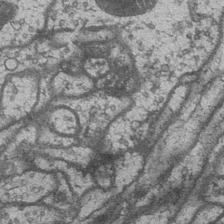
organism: Drosophila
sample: Optic medulla